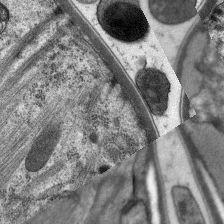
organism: C. elegans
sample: Pharynx